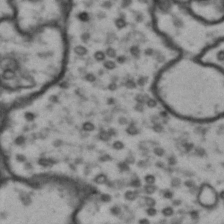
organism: Drosophila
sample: Brain